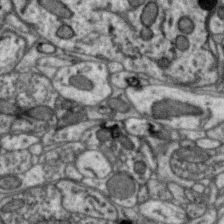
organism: Zebra finch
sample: Brain